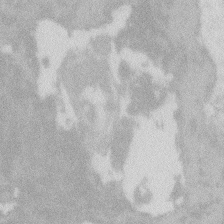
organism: Zebrafish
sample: Macrophage